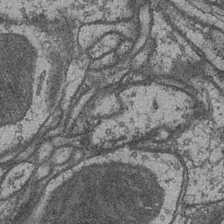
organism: Drosophila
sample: Optic medulla